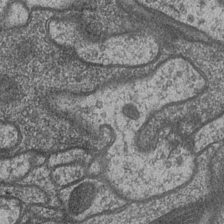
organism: Drosophila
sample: Optic medulla